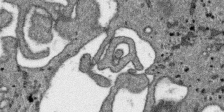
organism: Human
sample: Lung epithelial cells, uninfected (mock) control